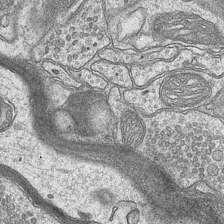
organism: Mouse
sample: CA1 Hippocampus